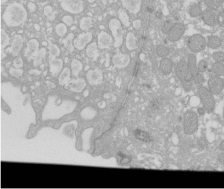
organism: Xenopus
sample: Cilia; centrioles in frog embryo cells